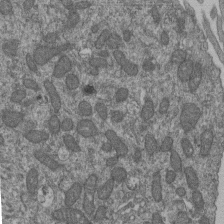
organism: Human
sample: Retinal organoid Rod and Cone cells